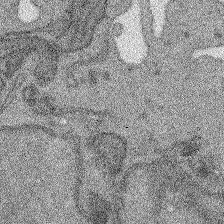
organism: Human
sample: HeLa cells